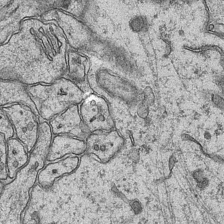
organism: Mouse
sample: CA1 Hippocampus